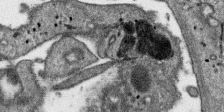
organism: Human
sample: Lung epithelial cells, uninfected (mock) control